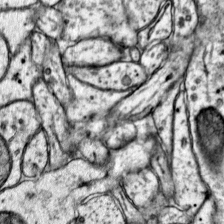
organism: Mouse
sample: Primary visual cortex